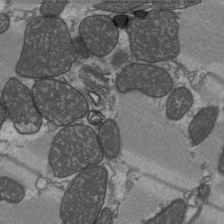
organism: C57BL Mouse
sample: Heart